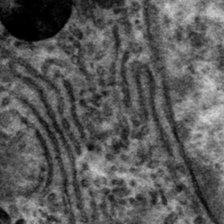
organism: Mouse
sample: Mouse hepatocytes